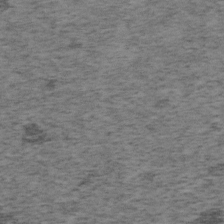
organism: Mouse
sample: OT-I killer T cells with ID8 ovarian cancer cells